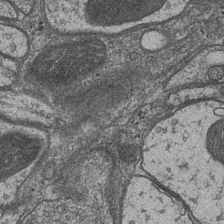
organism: Drosophila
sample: Optic medulla